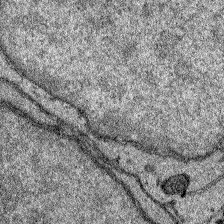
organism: Zebrafish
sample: Larval olfactory bulb